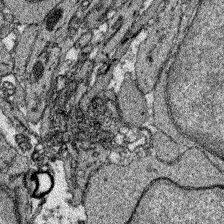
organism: Zebrafish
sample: Larval olfactory bulb